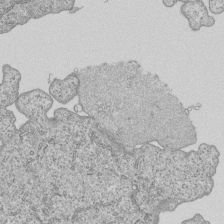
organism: Human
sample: MDA-MB-231 cells